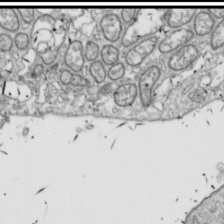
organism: Drosophila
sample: Cell division; meiosis; drosophila spermatocytes